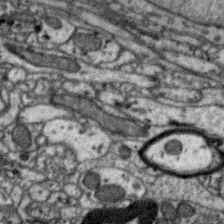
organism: Zebra finch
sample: Brain